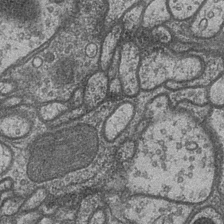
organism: Drosophila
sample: Optic medulla